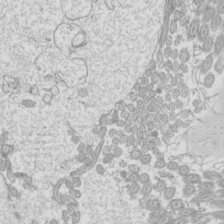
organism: Mouse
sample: Cilia; mouse epididymis